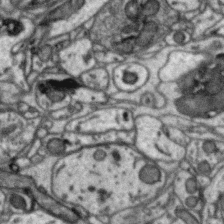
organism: Zebra finch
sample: Brain